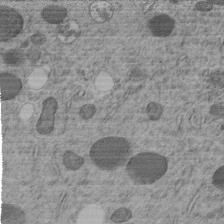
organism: C. elegans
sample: C. elegans embryo early stage